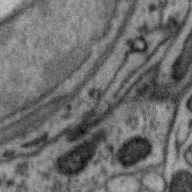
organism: Zebra finch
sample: Brain